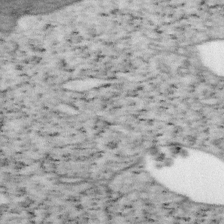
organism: Mouse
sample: OT-I killer T cells with ID8 ovarian cancer cells